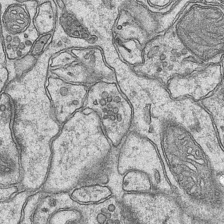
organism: Mouse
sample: CA1 Hippocampus